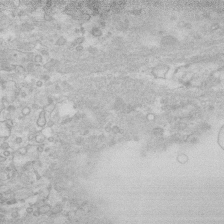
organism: Human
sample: Fibroblast cells